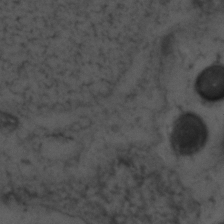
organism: Zebrafish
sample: Zebrafish embryo